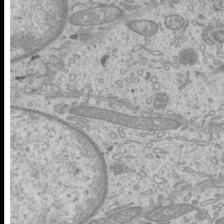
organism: Mouse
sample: Cilia; mouse epididymis